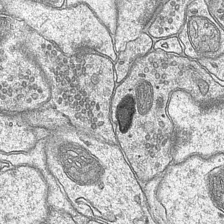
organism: Mouse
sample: CA1 Hippocampus